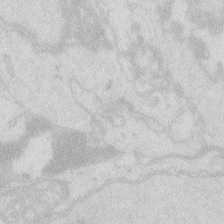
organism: Zebrafish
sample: Macrophage